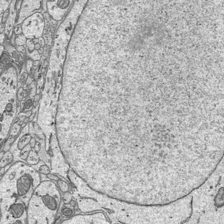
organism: Mouse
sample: Suprachiasmatic nucleus